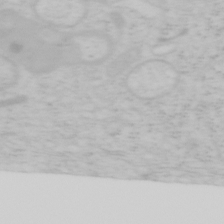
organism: Mouse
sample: OT-I killer T cells with ID8 ovarian cancer cells